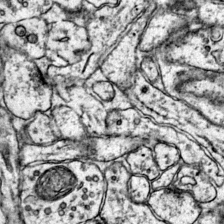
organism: Mouse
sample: Primary visual cortex